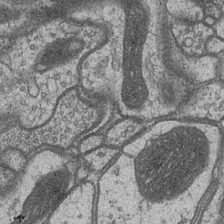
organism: Drosophila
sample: Optic medulla